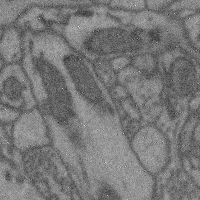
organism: Mouse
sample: Cerebral cortex